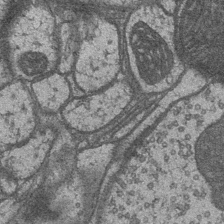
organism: Drosophila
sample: Optic medulla